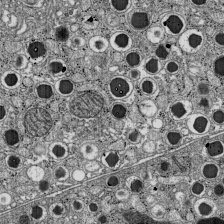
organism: C57BL Mouse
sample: Pancreatic islet